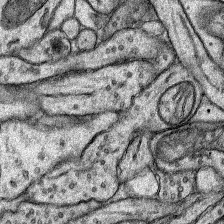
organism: Rat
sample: Hippocampus